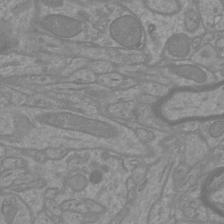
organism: Mouse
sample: Cortical neurons